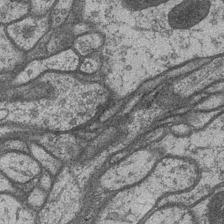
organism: Drosophila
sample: Optic medulla